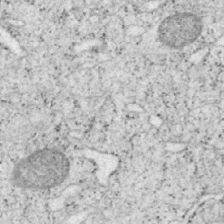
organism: Mouse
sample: OT-I killer T cells with ID8 ovarian cancer cells